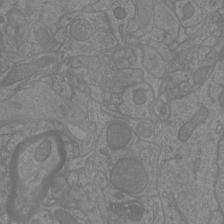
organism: Mouse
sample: Cortical neurons